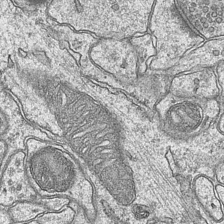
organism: Mouse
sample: CA1 Hippocampus